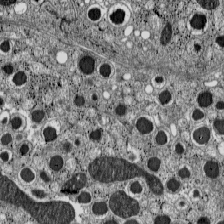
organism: C57BL Mouse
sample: Pancreatic islet